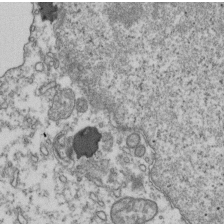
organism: Human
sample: Activated Jurkat CD4+ T cells